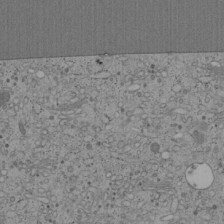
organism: African green monkey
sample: COS-7 cells